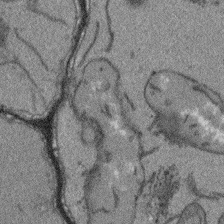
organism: Arabidopsis thaliana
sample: Root tip